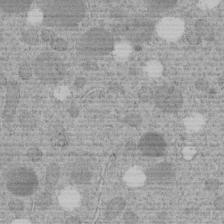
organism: C. elegans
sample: C. elegans embryo early stage